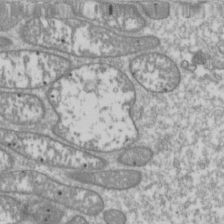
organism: Drosophila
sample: Cell division; meiosis; drosophila spermatocytes